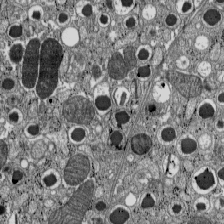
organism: C57BL Mouse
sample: Pancreatic islet